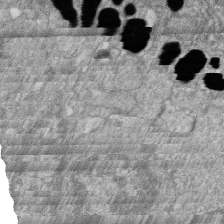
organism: Zebrafish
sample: Cilia; retinal pigment epithelium